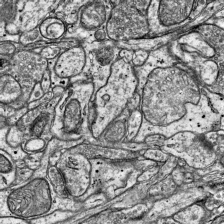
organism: Mouse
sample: Visual Cortex